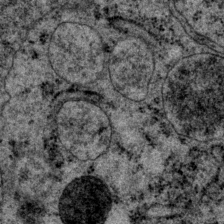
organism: P. pacificus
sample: Pharynx